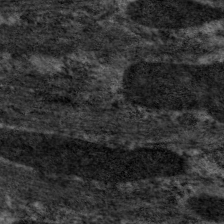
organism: C. elegans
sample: Pharynx